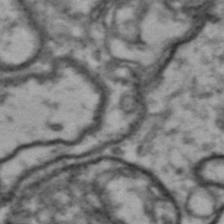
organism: Drosophila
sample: Brain